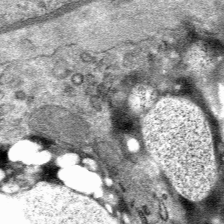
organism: Mouse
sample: Mouse Salivary gland